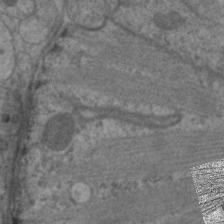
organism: C. elegans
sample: Pharynx